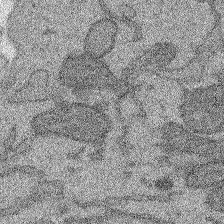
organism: Human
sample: HeLa cells